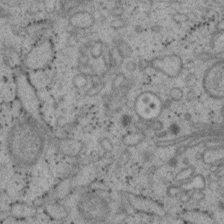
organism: Human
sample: HeLa cells